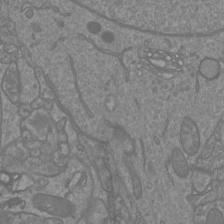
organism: Mouse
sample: Cortical neurons